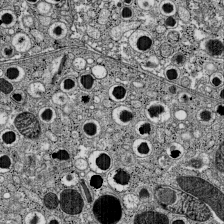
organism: C57BL Mouse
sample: Pancreatic islet